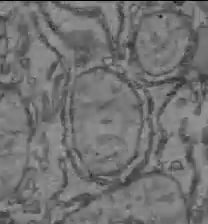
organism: C57BL Mouse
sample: Liver